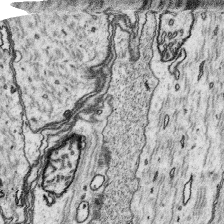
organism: Platynereis dumerilii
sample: Parapodia